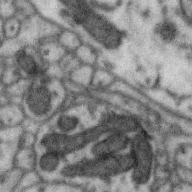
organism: Zebra finch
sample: Brain